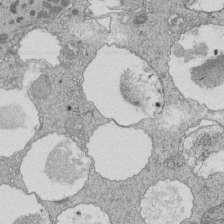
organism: Tetrahymena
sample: Cilia in tetrahymena